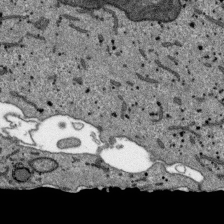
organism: Human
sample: Lung epithelial cells, uninfected (mock) control